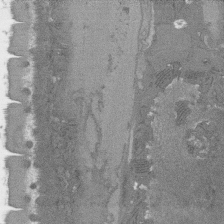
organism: C. elegans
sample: AFD neurons C. elegans